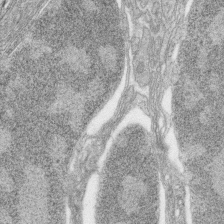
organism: Zebrafish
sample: synaptic ribbons in rod cells and cone cells